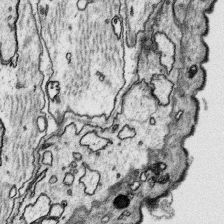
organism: Platynereis dumerilii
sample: Parapodia